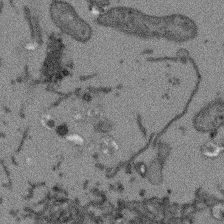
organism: Arabidopsis thaliana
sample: Root tip